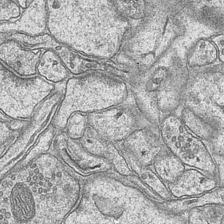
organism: Mouse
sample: CA1 Hippocampus